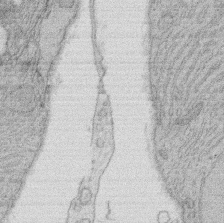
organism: Rat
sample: Salivary granule